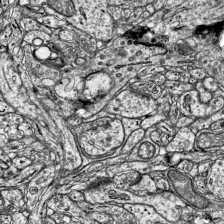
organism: Mouse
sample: Visual Cortex